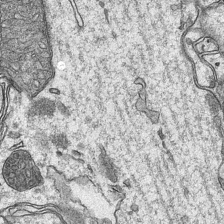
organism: Mouse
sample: CA1 Hippocampus